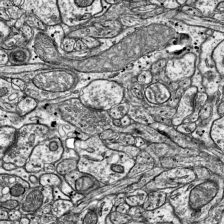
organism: Mouse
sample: Visual Cortex